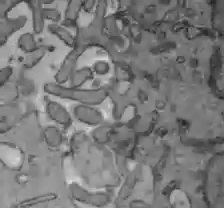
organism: C57BL Mouse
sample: Liver